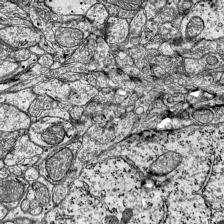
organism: Mouse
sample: Visual Cortex